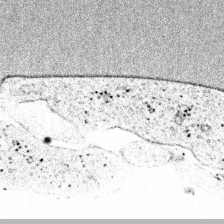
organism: Human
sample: HeLa cells